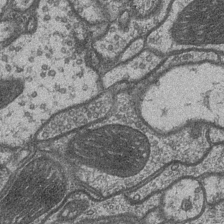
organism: Drosophila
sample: Optic medulla